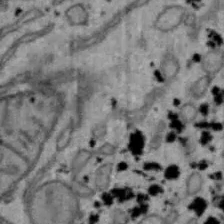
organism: Mouse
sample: Liver